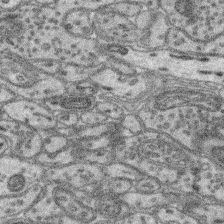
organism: Mouse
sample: Retina